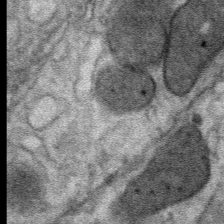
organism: Mouse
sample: Mouse Salivary gland